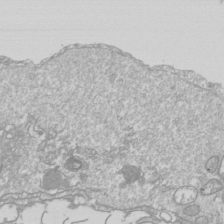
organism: Drosophila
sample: Cell division; meiosis; drosophila spermatocytes